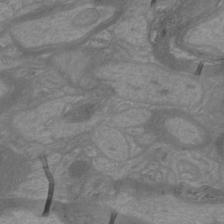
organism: Mouse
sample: Cortical neurons